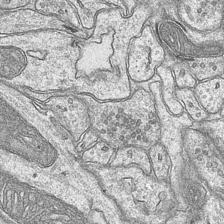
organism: Mouse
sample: CA1 Hippocampus